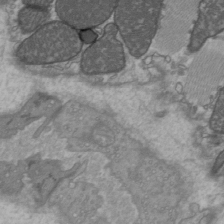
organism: C57BL Mouse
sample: Heart